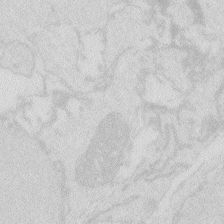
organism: Zebrafish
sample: Macrophage